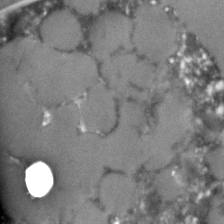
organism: C. elegans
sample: C. elegans embryo